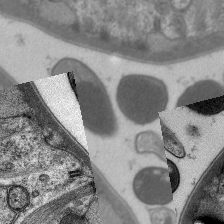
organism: C. elegans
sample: Pharynx